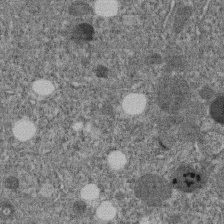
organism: C. elegans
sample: C. elegans embryo early stage